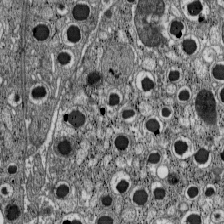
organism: C57BL Mouse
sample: Pancreatic islet